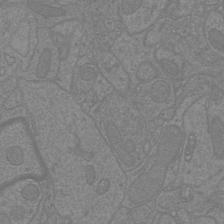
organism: Mouse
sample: Cortical neurons